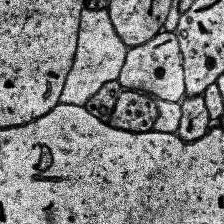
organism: Human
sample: Temporal Lobe